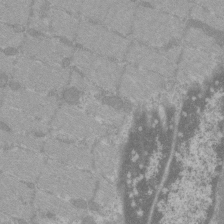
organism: C57BL Mouse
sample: Tibialis anterior muscle cell